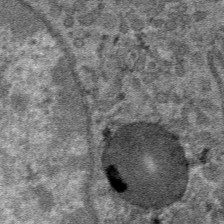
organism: Mouse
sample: Mouse hepatocytes